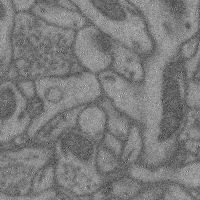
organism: Mouse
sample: Cerebral cortex